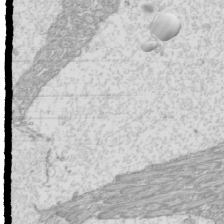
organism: Mouse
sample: Cilia; mouse epididymis